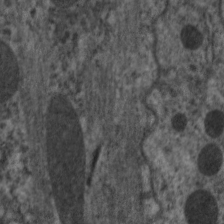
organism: C. elegans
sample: Pharynx